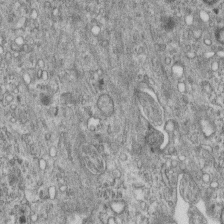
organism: Mouse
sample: Centriole in ependymal cells